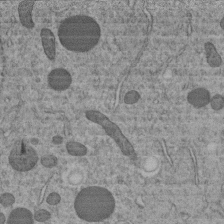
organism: C. elegans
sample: C. elegans embryo early stage